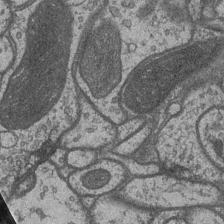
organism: Drosophila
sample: Optic medulla